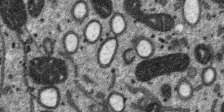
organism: Human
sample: Lung epithelial cells infected with SARS-CoV-2